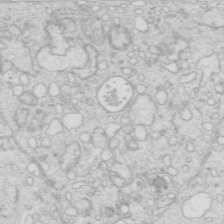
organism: Mouse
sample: Multiciliated cells